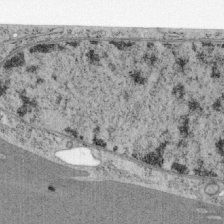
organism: Human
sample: HeLa cells